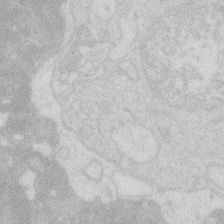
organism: Zebrafish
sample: Macrophage